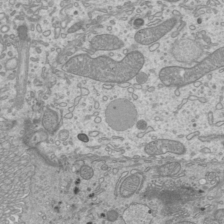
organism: Mouse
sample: Cilia; mouse epididymis